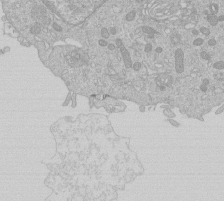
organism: Human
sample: Macrophage cells